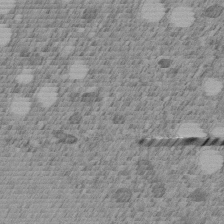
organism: C. elegans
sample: C. elegans embryo early stage